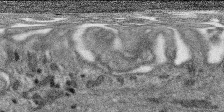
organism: Human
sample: Lung epithelial cells infected with SARS-CoV-2